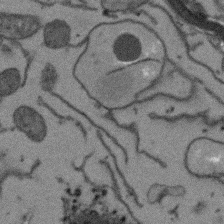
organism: Arabidopsis thaliana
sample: Root tip